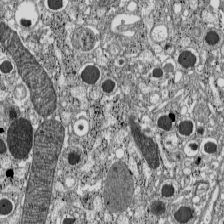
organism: C57BL Mouse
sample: Pancreatic islet